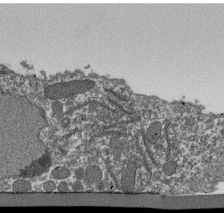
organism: Dictyostelium discoideum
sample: Dictyostelium multivesicular bodies